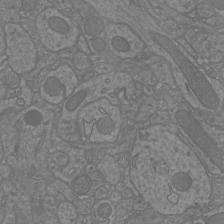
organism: Mouse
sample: Cortical neurons